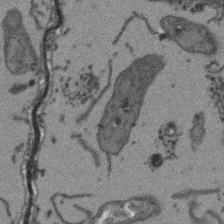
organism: Arabidopsis thaliana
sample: Root tip